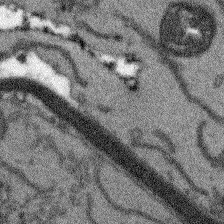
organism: Arabidopsis thaliana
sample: Root tip